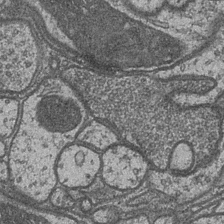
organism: Drosophila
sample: Optic medulla